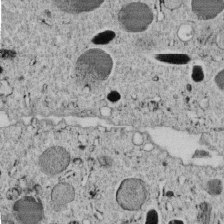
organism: C. elegans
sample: C. elegans embryo early stage